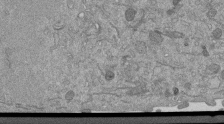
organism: Mouse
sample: ED-1 cell nuclei; centrioles